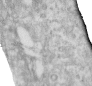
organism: Human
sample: Centriole in RPE cells